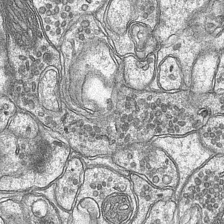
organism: Mouse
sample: CA1 Hippocampus